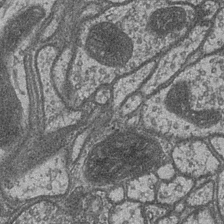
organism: Drosophila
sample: Optic medulla